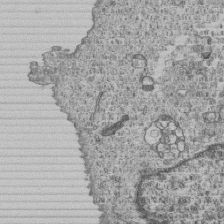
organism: Human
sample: MDA-MB-231 cells